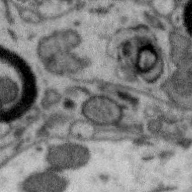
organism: Zebra finch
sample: Brain